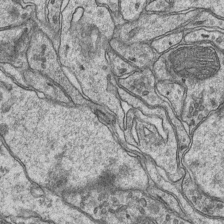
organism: Mouse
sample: CA1 Hippocampus